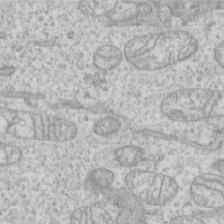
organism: Human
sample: CRL-1474